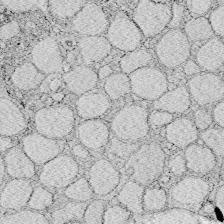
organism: Zebrafish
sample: Whole-Brain